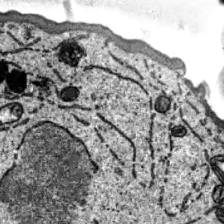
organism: Human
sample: HeLa cells